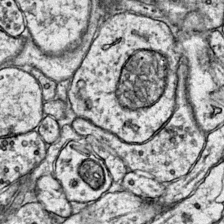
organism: Mouse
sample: Primary visual cortex